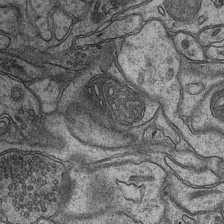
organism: Mouse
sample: CA1 Hippocampus